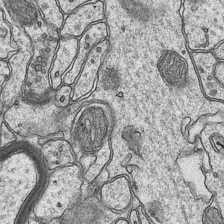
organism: Mouse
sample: CA1 Hippocampus